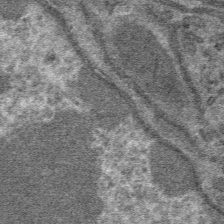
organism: Mouse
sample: Mouse hepatocytes